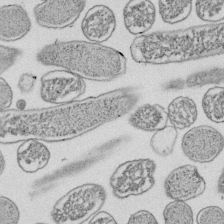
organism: E. coli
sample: Bacterial nucleoid